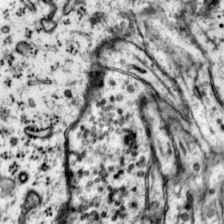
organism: Mouse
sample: Primary visual cortex